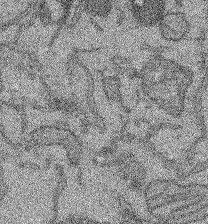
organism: Human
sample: HeLa cells